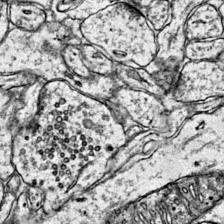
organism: Mouse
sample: Primary visual cortex